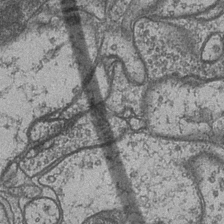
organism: Drosophila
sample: Optic medulla